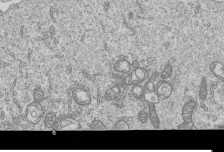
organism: Human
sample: MDA-MB-231 cells